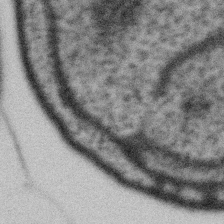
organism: Gemmata obscuriglobus